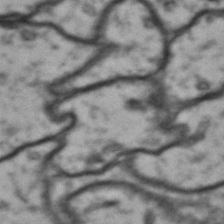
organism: Drosophila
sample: Brain